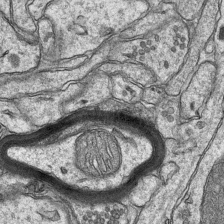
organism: Mouse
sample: CA1 Hippocampus